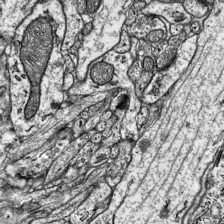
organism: Mouse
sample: Visual Cortex